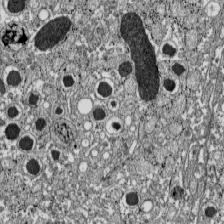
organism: C57BL Mouse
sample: Pancreatic islet